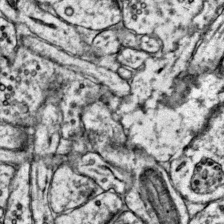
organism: Mouse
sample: Primary visual cortex